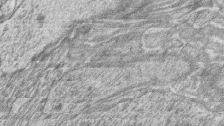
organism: Zebrafish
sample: synaptic ribbons in rod cells and cone cells